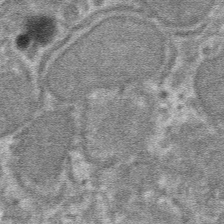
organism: Mouse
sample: Mouse hepatocytes